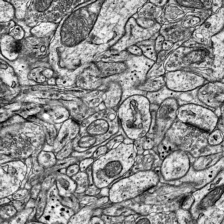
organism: Mouse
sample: Visual Cortex